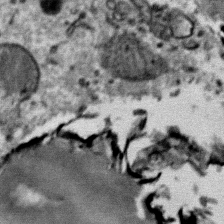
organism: Mouse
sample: Mouse Salivary gland